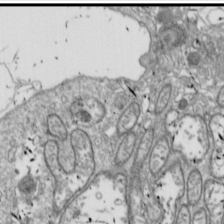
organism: Drosophila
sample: Cell division; meiosis; drosophila spermatocytes